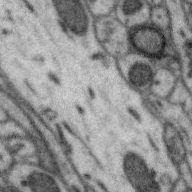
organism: Zebra finch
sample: Brain